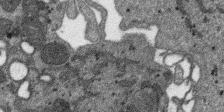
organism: Human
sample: Lung epithelial cells infected with SARS-CoV-2